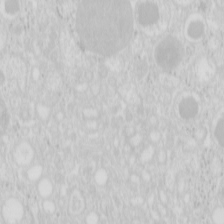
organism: Mouse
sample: Pancreas